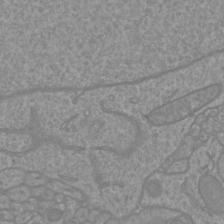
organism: Mouse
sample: Cortical neurons